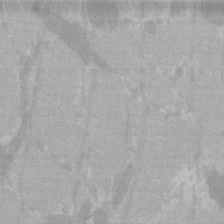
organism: C57BL Mouse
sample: Tibialis anterior muscle cell